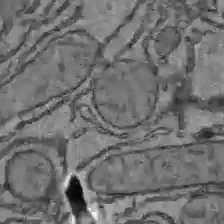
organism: C57BL Mouse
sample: Liver